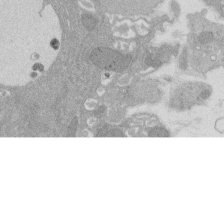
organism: Rat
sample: Salivary granule